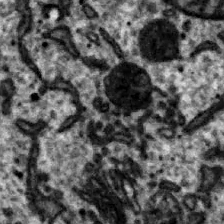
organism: Human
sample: HeLa cells